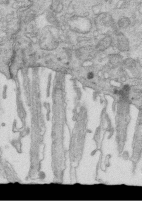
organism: Mouse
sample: Multiciliated cells